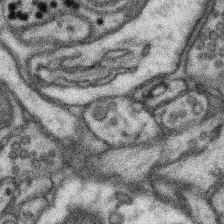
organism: Mouse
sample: Somatosensory cortex neuropil